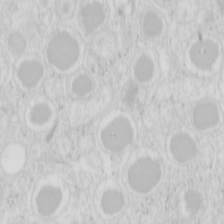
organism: Mouse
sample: Pancreas